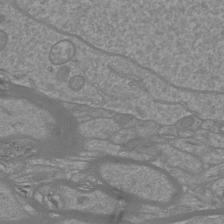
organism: Mouse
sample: Cortical neurons